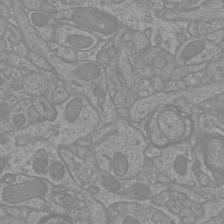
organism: Mouse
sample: Cortical neurons